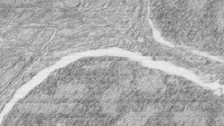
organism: Zebrafish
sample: synaptic ribbons in rod cells and cone cells